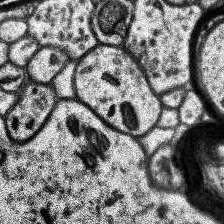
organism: Human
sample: Temporal Lobe